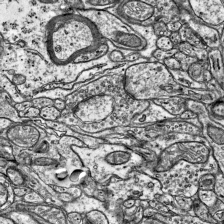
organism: Mouse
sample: Visual Cortex